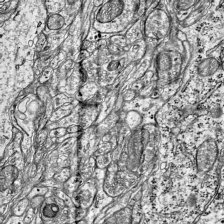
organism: Mouse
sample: Visual Cortex